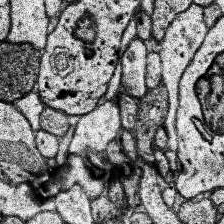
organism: Human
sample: Temporal Lobe